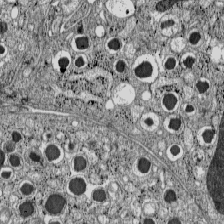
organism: C57BL Mouse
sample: Pancreatic islet